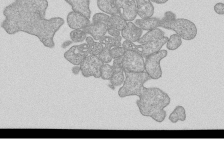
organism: Human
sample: MDA-MB-231 cells